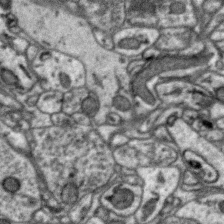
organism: Zebra finch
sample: Brain